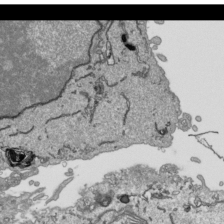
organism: Human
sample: Mitochondria in HCT116 cells